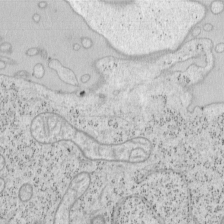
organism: Mouse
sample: OT-I killer T cells with ID8 ovarian cancer cells